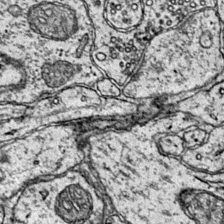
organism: Mouse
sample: Primary visual cortex